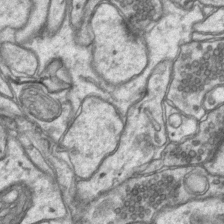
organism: Mouse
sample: CA1 Hippocampus